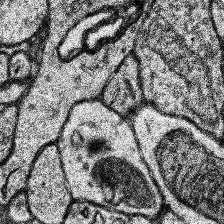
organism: Human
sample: Temporal Lobe